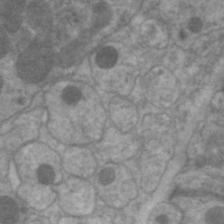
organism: C. elegans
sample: Pharynx